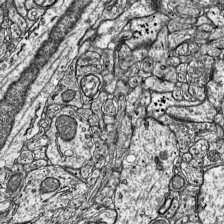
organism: Mouse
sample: Visual Cortex